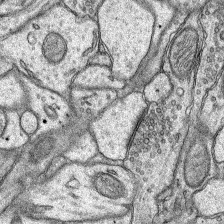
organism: Rat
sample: Hippocampus